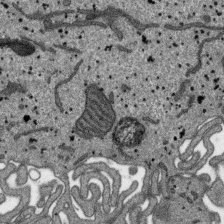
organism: Human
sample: Lung epithelial cells, uninfected (mock) control